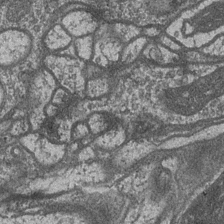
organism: Drosophila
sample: Optic medulla